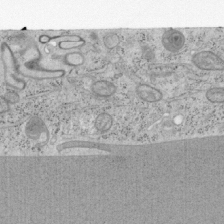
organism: Human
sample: HeLa cells